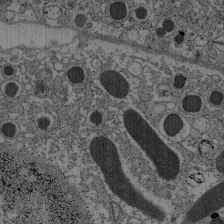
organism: C57BL Mouse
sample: Pancreatic islet